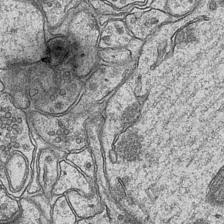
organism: Mouse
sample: CA1 Hippocampus